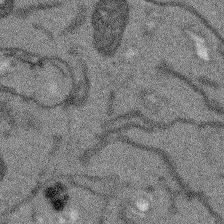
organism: Arabidopsis thaliana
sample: Root tip